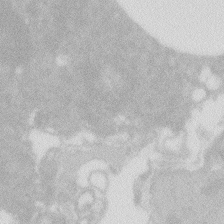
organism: Zebrafish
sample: Macrophage